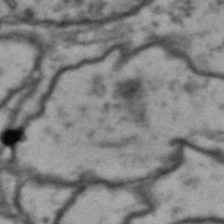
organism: Drosophila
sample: Brain